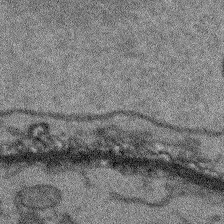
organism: Arabidopsis thaliana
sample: Root tip